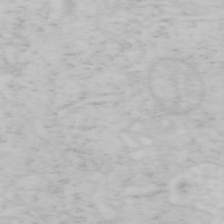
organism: Mouse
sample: OT-I killer T cells with ID8 ovarian cancer cells